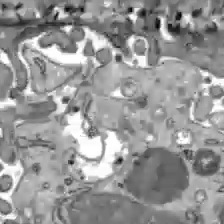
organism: C57BL Mouse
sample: Liver